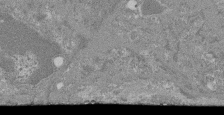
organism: Mouse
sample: Glomerulus